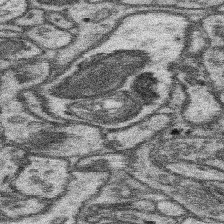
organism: Mouse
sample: Somatosensory cortex neuropil